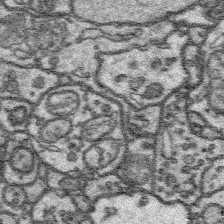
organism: Platynereis dumerilii